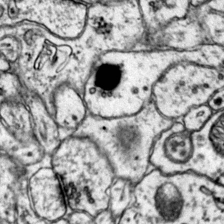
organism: Mouse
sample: Primary visual cortex